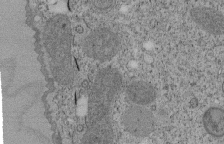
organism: Tetrahymena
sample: Cilia in tetrahymena